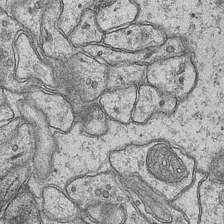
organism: Mouse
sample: CA1 Hippocampus